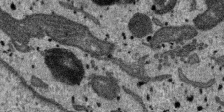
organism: Human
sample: Lung epithelial cells, uninfected (mock) control